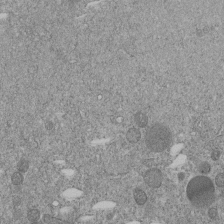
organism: C. elegans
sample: C. elegans embryo early stage